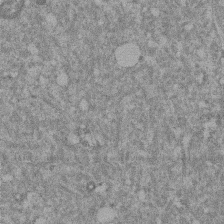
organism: Mouse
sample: Dividing mouse embryo 1 cell stage